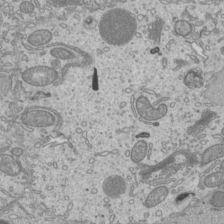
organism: Mouse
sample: Cilia; mouse epididymis